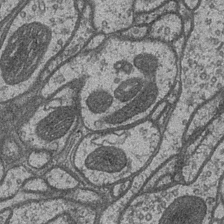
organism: Drosophila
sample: Optic medulla